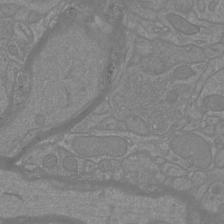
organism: Mouse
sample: Cortical neurons